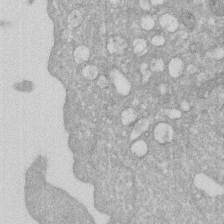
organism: Human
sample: HIV infected U937 cells